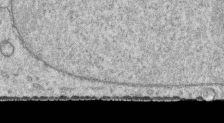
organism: Human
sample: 1205lu cells